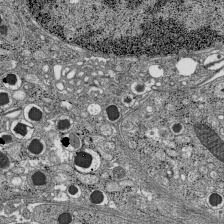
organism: C57BL Mouse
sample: Pancreatic islet